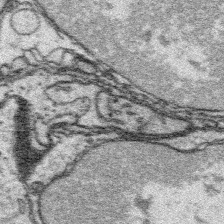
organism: Platynereis dumerilii